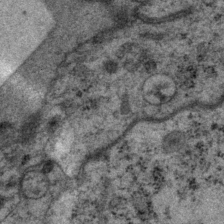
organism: P. pacificus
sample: Pharynx